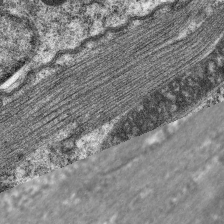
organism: C. elegans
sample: Pharynx